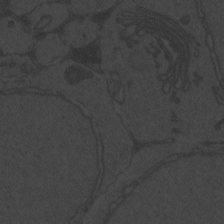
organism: Zebrafish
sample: Macrophage infected with Toxoplasma gondii